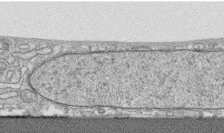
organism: Human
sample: CRL-1474